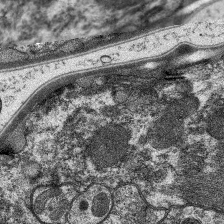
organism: C. elegans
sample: Pharynx